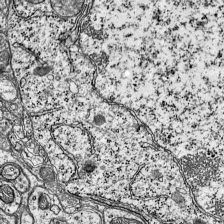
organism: Mouse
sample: Visual Cortex